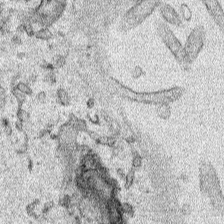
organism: Human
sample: Mitochondria in HCT116 cells